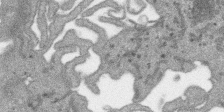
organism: Human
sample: Lung epithelial cells infected with SARS-CoV-2